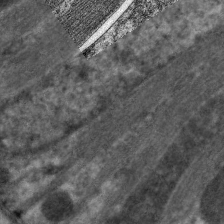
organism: C. elegans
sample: Pharynx